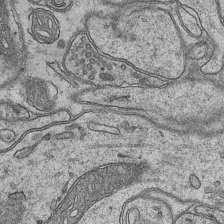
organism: Mouse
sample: CA1 Hippocampus